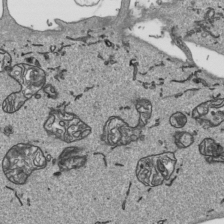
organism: Human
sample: Mitochondria in HCT116 cells